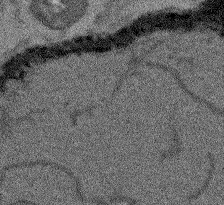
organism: Arabidopsis thaliana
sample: Root tip